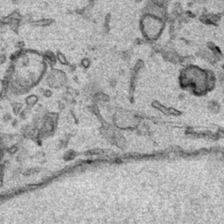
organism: Human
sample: Mitochondria in HCT116 cells